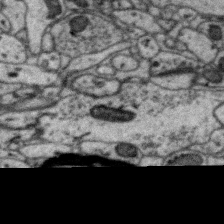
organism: Zebra finch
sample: Brain